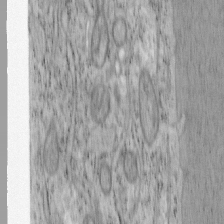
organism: Human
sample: HeLa cells